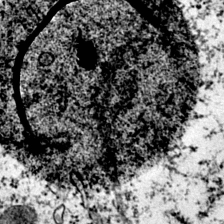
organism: Mouse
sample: Primary visual cortex